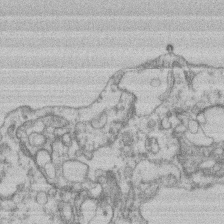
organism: Mouse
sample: T cell stromal cell synapse